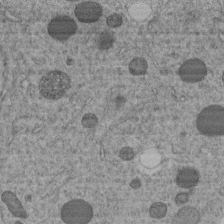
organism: C. elegans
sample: C. elegans embryo early stage